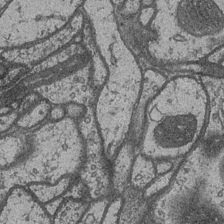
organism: Drosophila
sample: Optic medulla